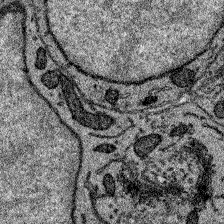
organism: Zebrafish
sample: Larval olfactory bulb